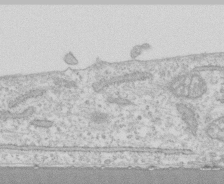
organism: Human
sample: CRL-1474